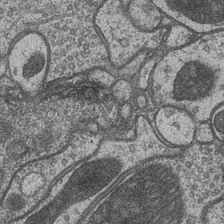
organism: Drosophila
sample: Optic medulla